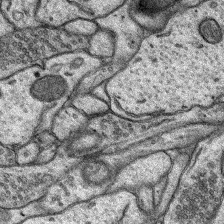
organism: Rat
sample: Hippocampus